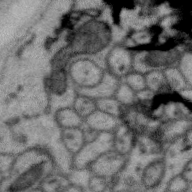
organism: Zebra finch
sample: Brain